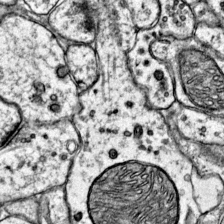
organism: Mouse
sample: Primary visual cortex